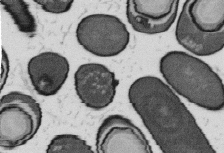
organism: B. subtilis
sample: Bacterial spore